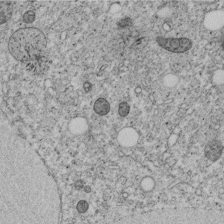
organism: C. elegans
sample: C. elegans embryo early stage